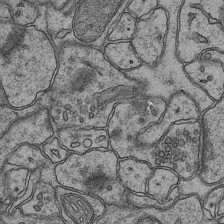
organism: Mouse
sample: CA1 Hippocampus